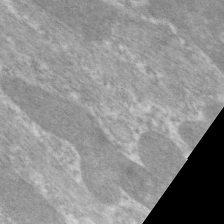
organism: C. elegans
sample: Pharynx